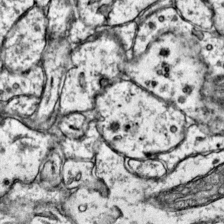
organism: Mouse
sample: Primary visual cortex